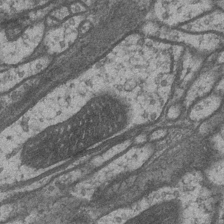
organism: Drosophila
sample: Optic medulla